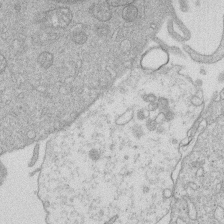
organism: Human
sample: Macrophage cells